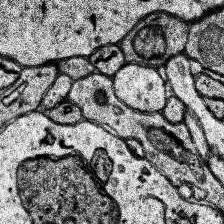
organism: Human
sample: Temporal Lobe